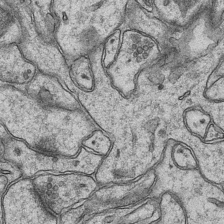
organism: Mouse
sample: CA1 Hippocampus